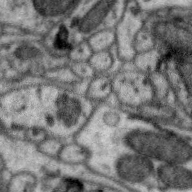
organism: Zebra finch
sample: Brain